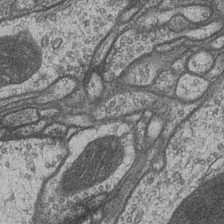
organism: Drosophila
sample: Optic medulla